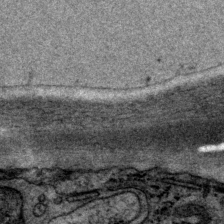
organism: P. pacificus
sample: Pharynx